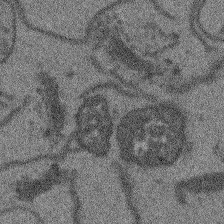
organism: Arabidopsis thaliana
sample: Root tip